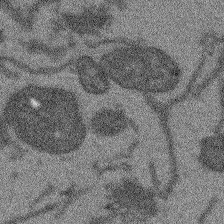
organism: Arabidopsis thaliana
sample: Root tip